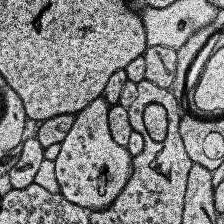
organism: Human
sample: Temporal Lobe